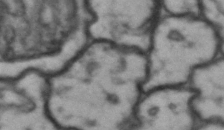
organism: Drosophila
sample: Brain